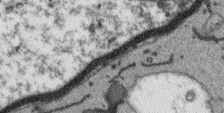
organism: Arabidopsis thaliana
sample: Root tip